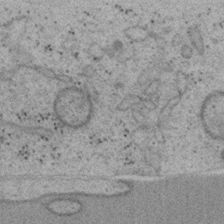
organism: Human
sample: HeLa cells